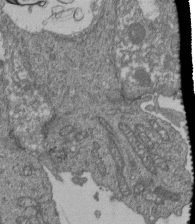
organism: Human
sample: Retinal organoid Rod and Cone cells